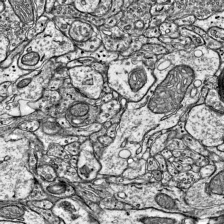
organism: Mouse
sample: Visual Cortex